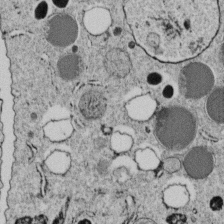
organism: C. elegans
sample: C. elegans embryo early stage